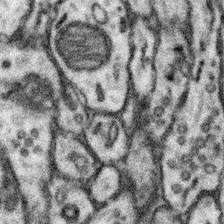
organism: Mouse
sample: Somatosensory cortex neuropil